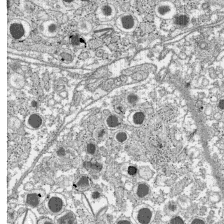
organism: C57BL Mouse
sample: Pancreatic islet